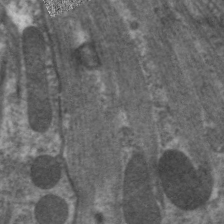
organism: C. elegans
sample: Pharynx